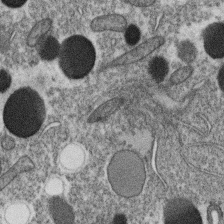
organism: C. elegans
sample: C. elegans oocyte; sperm cells